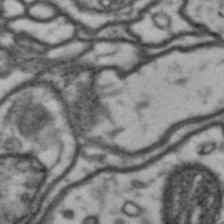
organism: Drosophila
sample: Brain